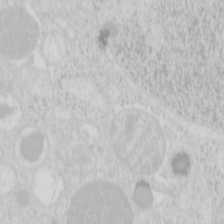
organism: Mouse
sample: Pancreas